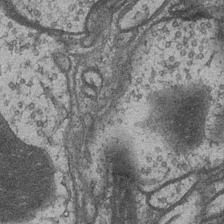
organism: Drosophila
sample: Optic medulla